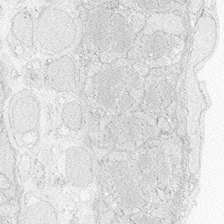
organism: Zebrafish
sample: Whole-Brain